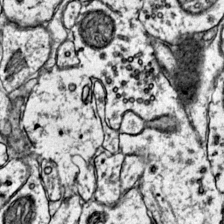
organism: Mouse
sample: Primary visual cortex